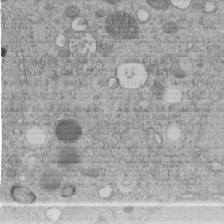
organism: C. elegans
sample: C. elegans embryo early stage